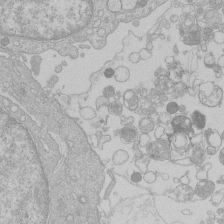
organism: Human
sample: Macrophage cells